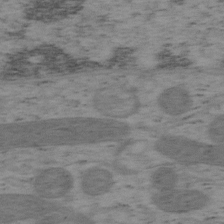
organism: Mouse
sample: OT-I killer T cells with ID8 ovarian cancer cells